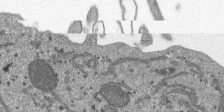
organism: Human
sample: Lung epithelial cells infected with SARS-CoV-2